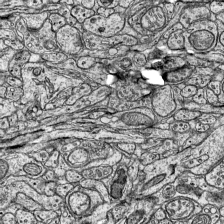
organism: Mouse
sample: Visual Cortex